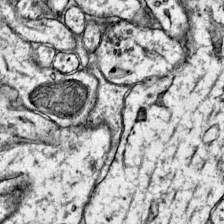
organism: Mouse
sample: Primary visual cortex